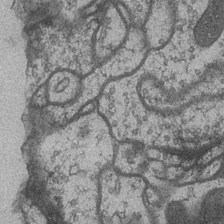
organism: Drosophila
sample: Optic medulla